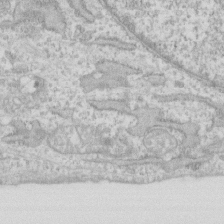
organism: Human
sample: Fibroblast cells